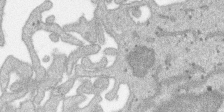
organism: Human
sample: Lung epithelial cells infected with SARS-CoV-2